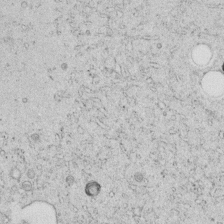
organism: C. elegans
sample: C. elegans embryo early stage